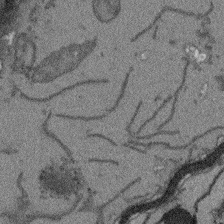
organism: Arabidopsis thaliana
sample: Root tip